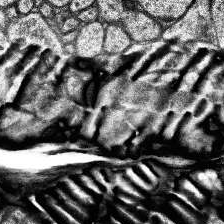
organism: Human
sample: Temporal Lobe